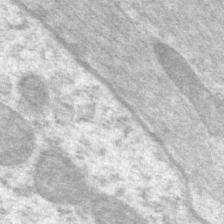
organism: P. pacificus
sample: Pharynx